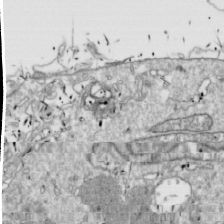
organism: Drosophila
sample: Cell division; meiosis; drosophila spermatocytes